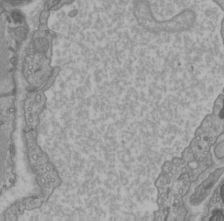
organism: C57BL Mouse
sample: Heart